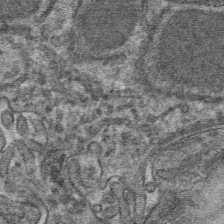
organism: Mouse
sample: Mouse hepatocytes